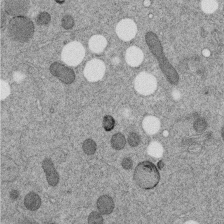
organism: C. elegans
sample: C. elegans embryo early stage